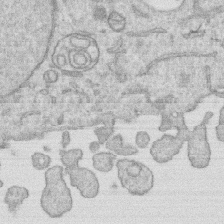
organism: Human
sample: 1205lu cells